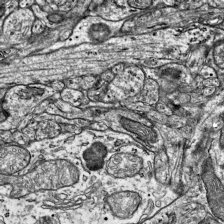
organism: Mouse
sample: Visual Cortex